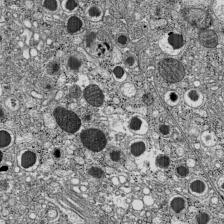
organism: C57BL Mouse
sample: Pancreatic islet